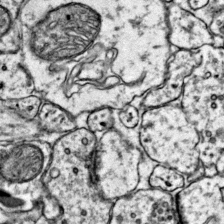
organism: Mouse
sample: Primary visual cortex